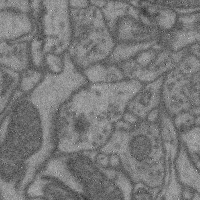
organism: Mouse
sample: Cerebral cortex